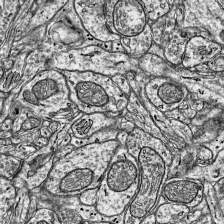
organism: Mouse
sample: Visual Cortex